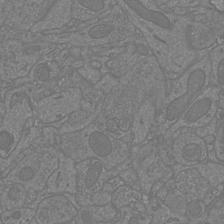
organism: Mouse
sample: Cortical neurons